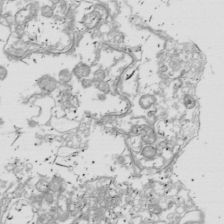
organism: Drosophila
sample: Cell division; meiosis; drosophila spermatocytes